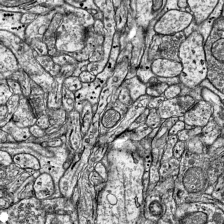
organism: Mouse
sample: Visual Cortex